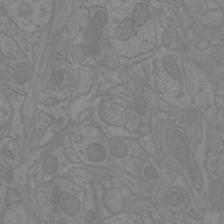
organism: Mouse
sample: Cortical neurons